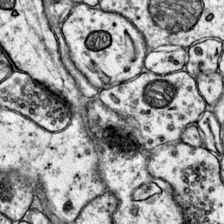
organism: Mouse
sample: Primary visual cortex